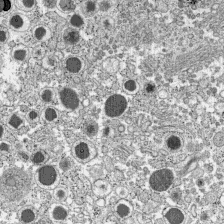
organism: C57BL Mouse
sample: Pancreatic islet